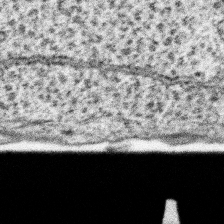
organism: Human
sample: HeLa cells